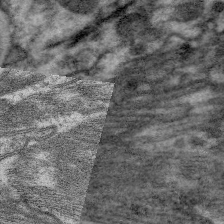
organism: C. elegans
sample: Pharynx